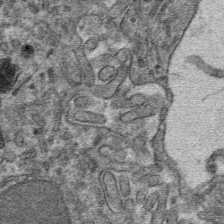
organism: Mouse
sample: Mouse hepatocytes